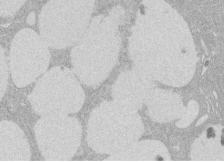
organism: Rat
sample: Salivary granule